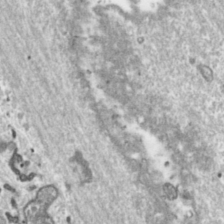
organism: Toxoplasma gondii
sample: Parasites in a vacuole inside a host cell